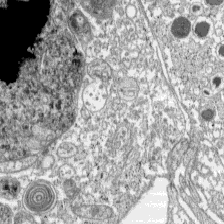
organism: C57BL Mouse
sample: Pancreatic islet